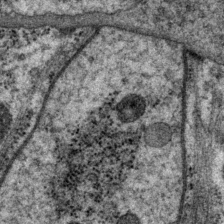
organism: P. pacificus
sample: Pharynx